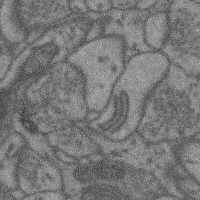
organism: Mouse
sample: Cerebral cortex